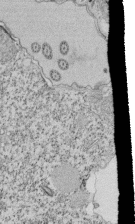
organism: Tetrahymena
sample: Cilia in tetrahymena